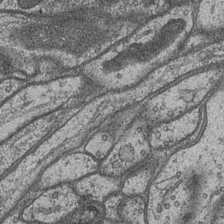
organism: Drosophila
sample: Optic medulla